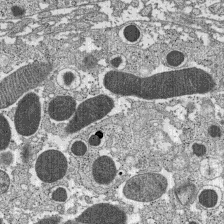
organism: C57BL Mouse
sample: Pancreatic islet